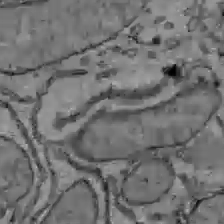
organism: C57BL Mouse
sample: Liver